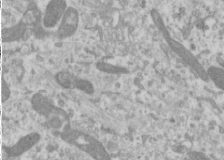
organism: Human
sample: Cilia; basal body in RPE cells